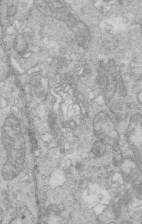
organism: Mouse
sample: Multiciliated cells